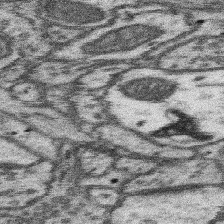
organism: Mouse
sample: Somatosensory cortex neuropil